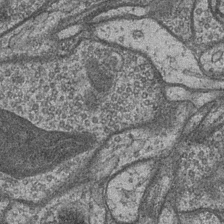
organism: Drosophila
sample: Optic medulla